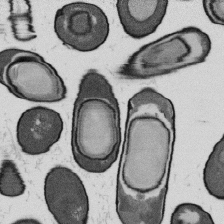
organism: B. subtilis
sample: Bacterial spore